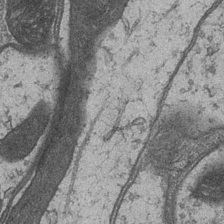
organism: Drosophila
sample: Optic medulla